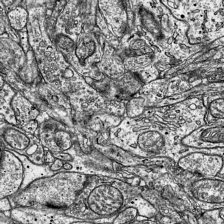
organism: Mouse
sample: Visual Cortex